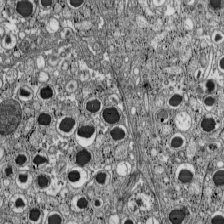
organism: C57BL Mouse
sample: Pancreatic islet